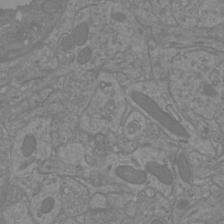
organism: Mouse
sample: Cortical neurons